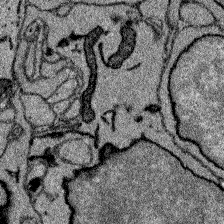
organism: Zebrafish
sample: Larval olfactory bulb